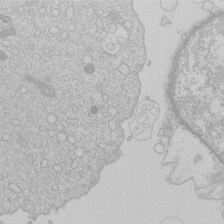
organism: Human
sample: Macrophage cells